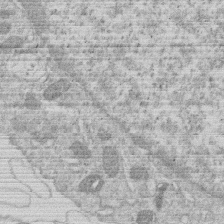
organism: Human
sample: Macrophage cells